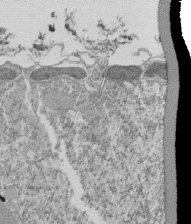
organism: Tetrahymena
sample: Cilia in tetrahymena